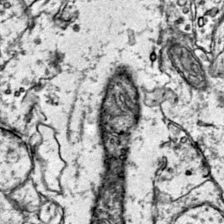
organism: Mouse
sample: Primary visual cortex